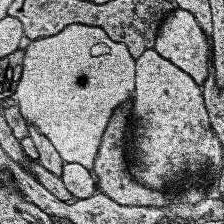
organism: Human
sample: Temporal Lobe